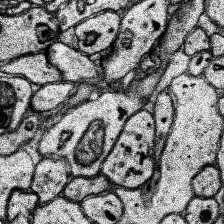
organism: Human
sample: Temporal Lobe